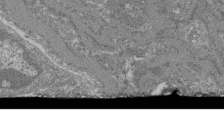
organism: Mouse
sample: Glomerulus